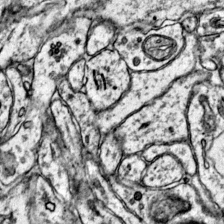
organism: Mouse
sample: Primary visual cortex